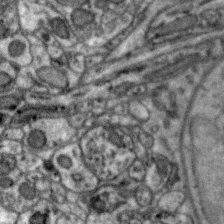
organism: Zebra finch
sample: Brain